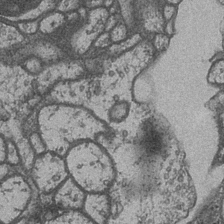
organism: Drosophila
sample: Optic medulla